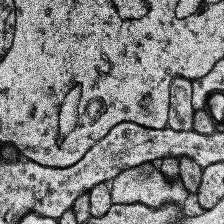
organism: Human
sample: Temporal Lobe